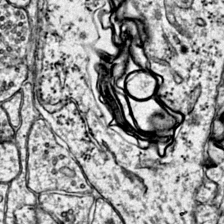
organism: Mouse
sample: Primary visual cortex